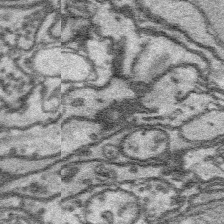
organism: Platynereis dumerilii